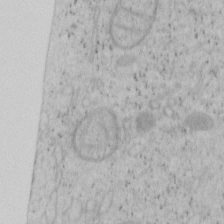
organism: Human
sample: HeLa cells